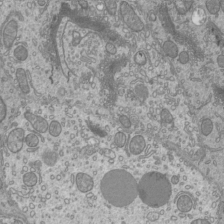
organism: Mouse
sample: Cilia; mouse epididymis